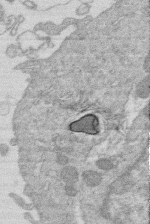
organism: Human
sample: Macrophage cells